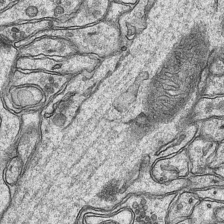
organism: Mouse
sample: CA1 Hippocampus